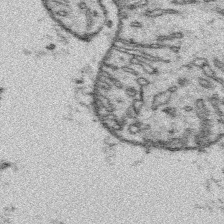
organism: Platynereis dumerilii